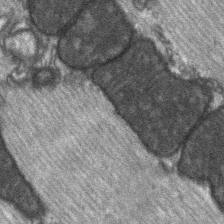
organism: C57BL Mouse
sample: Soleus